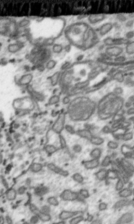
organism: Toxoplasma gondii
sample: Parasites in a vacuole inside a host cell